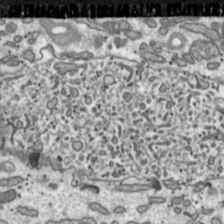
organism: Toxoplasma gondii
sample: Parasites in a vacuole inside a host cell